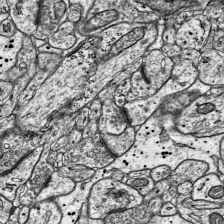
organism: Mouse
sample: Visual Cortex